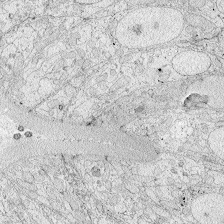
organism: Zebrafish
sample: Whole-Brain